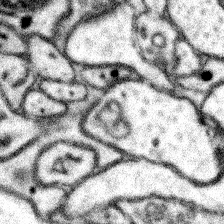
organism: Mouse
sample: Somatosensory cortex neuropil